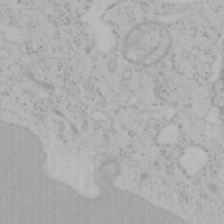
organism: Mouse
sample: OT-I killer T cells with ID8 ovarian cancer cells